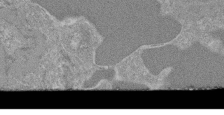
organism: Mouse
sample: Glomerulus